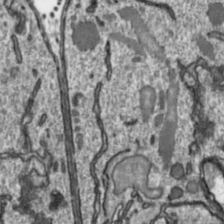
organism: Toxoplasma gondii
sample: Parasites in a vacuole inside a host cell